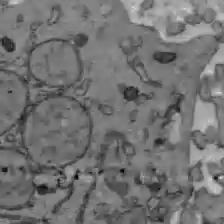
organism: C57BL Mouse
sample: Liver